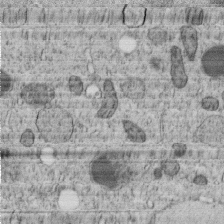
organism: C. elegans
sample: C. elegans embryo early stage